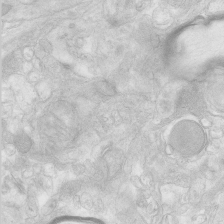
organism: Human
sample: Neocortex